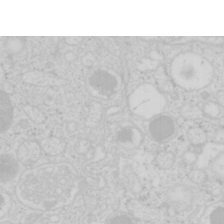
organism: Mouse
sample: Pancreas